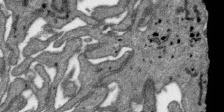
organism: Human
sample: Lung epithelial cells, uninfected (mock) control